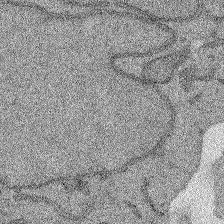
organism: Human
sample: HeLa cells